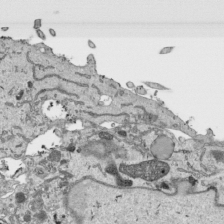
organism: Human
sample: Mitochondria in HCT116 cells